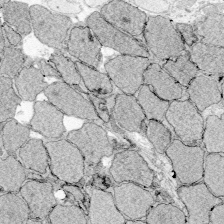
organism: Zebrafish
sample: Whole-Brain